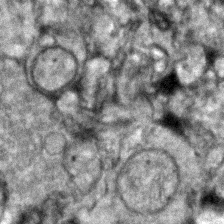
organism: Zebrafish